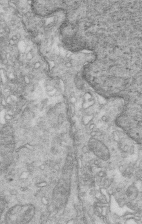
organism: Mouse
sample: Multiciliated cells